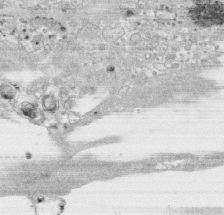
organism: Human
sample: CRL-1474